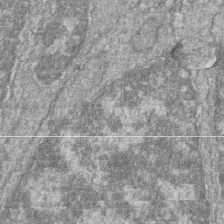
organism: Zebrafish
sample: Cilia; retinal pigment epithelium